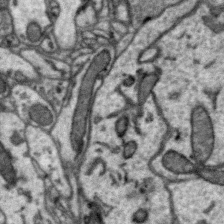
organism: Zebra finch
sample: Brain